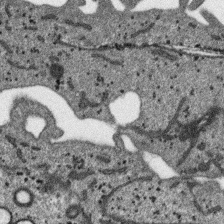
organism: Human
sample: Lung epithelial cells infected with SARS-CoV-2